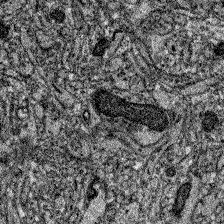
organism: Zebrafish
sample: Larval olfactory bulb